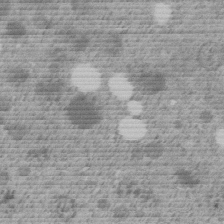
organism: C. elegans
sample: C. elegans embryo early stage